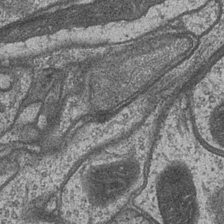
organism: Drosophila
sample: Optic medulla